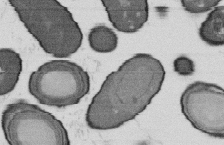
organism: B. subtilis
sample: Bacterial spore